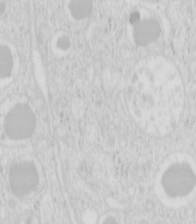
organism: Mouse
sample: Pancreas